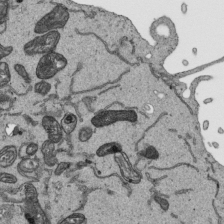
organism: Human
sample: Mitochondria in HCT116 cells